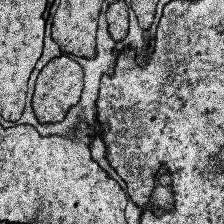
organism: Human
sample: Temporal Lobe